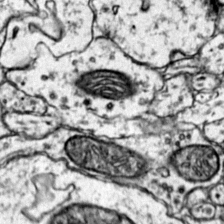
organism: Mouse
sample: Primary visual cortex